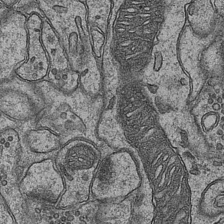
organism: Mouse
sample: CA1 Hippocampus